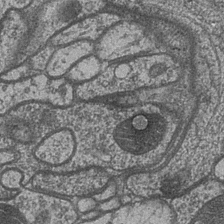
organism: Drosophila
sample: Optic medulla